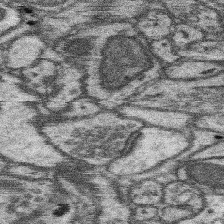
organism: Mouse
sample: Somatosensory cortex neuropil